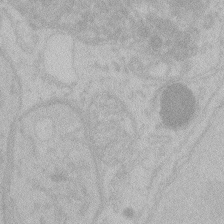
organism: Zebrafish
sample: Macrophage infected with Toxoplasma gondii